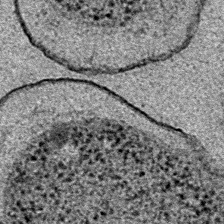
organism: E. coli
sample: E. Coli Bacteria